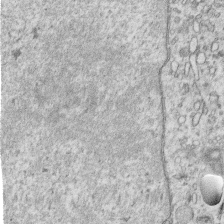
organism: Human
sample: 1205lu cells